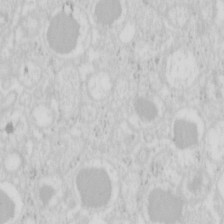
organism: Mouse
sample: Pancreas